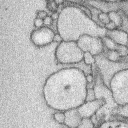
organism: Rabbit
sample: Retina